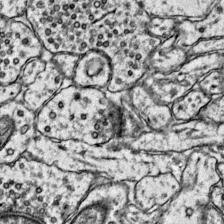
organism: Mouse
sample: Primary visual cortex